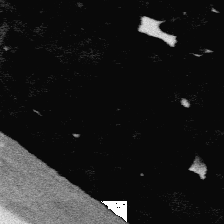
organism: Platynereis dumerilii